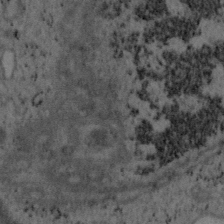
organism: Human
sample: HeLa cells